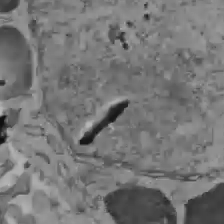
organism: C57BL Mouse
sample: Liver